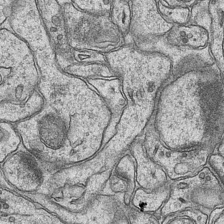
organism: Mouse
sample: CA1 Hippocampus